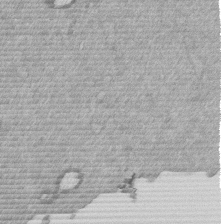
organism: Mouse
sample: Dividing mouse embryo 1 cell stage